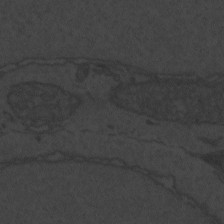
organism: Zebrafish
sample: Macrophage infected with Toxoplasma gondii